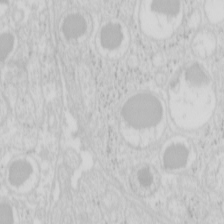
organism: Mouse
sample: Pancreas